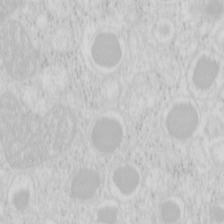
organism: Mouse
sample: Pancreas